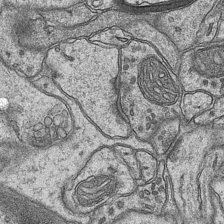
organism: Mouse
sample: CA1 Hippocampus